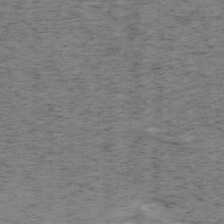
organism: Mouse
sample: OT-I killer T cells with ID8 ovarian cancer cells